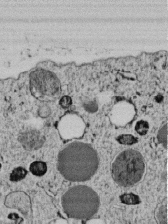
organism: C. elegans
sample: C. elegans embryo early stage